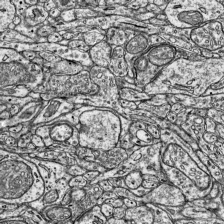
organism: Mouse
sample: Visual Cortex